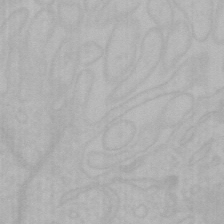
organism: Mouse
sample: Choroid plexus